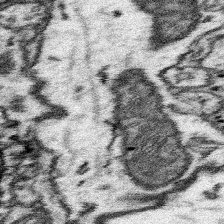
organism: Mouse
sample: Somatosensory cortex neuropil